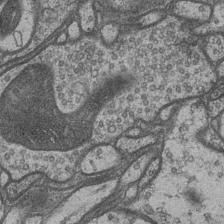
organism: Drosophila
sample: Optic medulla